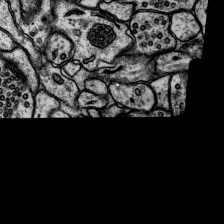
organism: Rat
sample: Hippocampus